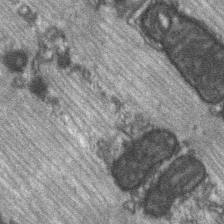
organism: C57BL Mouse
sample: Soleus